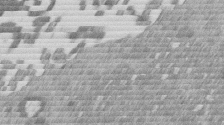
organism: Mouse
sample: Dividing mouse embryo 1 cell stage